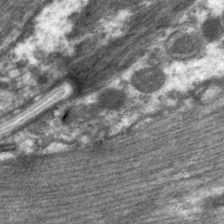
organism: C. elegans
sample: Pharynx